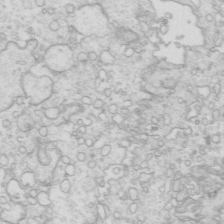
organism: Mouse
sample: Multiciliated cells